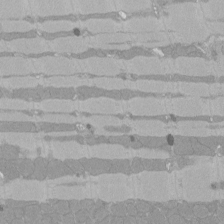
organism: Rat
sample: Left ventricle